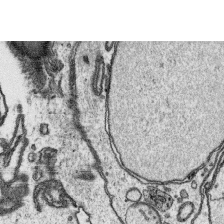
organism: Platynereis dumerilii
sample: Parapodia